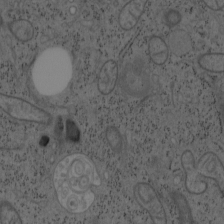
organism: Mouse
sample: OT-I killer T cells with ID8 ovarian cancer cells